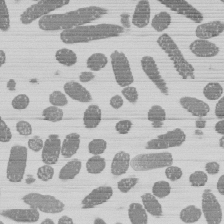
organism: E. coli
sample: Bacterial nucleoid